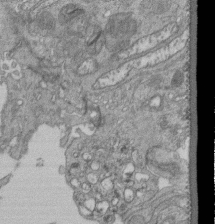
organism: Human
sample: Retinal organoid Rod and Cone cells